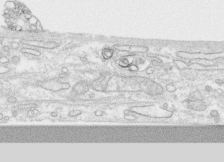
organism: Human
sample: CRL-1474